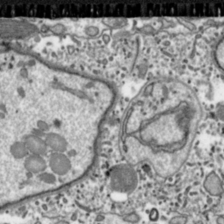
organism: Toxoplasma gondii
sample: Parasites in a vacuole inside a host cell